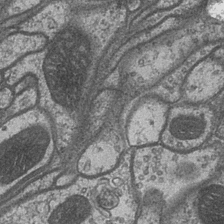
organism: Drosophila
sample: Optic medulla